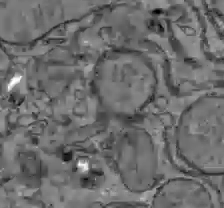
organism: C57BL Mouse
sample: Liver